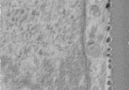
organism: Human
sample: Centriole in RPE cells